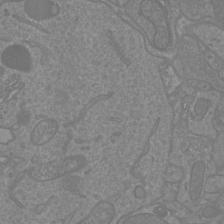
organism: Mouse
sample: Cortical neurons